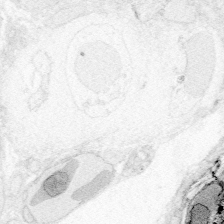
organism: Zebrafish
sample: Whole-Brain